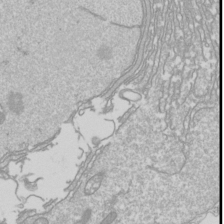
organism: Drosophila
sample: Cell division; meiosis; drosophila spermatocytes